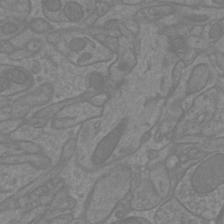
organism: Mouse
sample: Cortical neurons